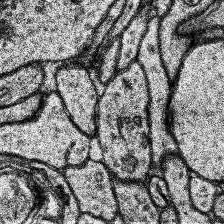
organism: Human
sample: Temporal Lobe